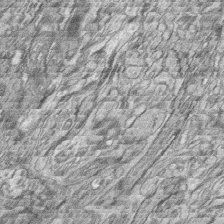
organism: Zebrafish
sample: synaptic ribbons in rod cells and cone cells